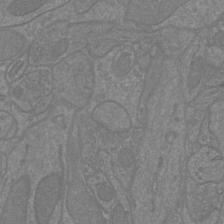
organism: Mouse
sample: Cortical neurons